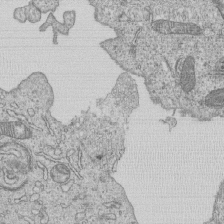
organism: Human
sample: MDA-MB-231 cells